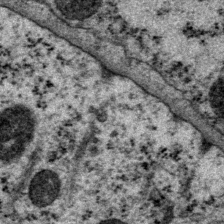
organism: P. pacificus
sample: Pharynx